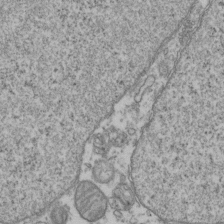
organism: Human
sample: Activated Jurkat CD4+ T cells